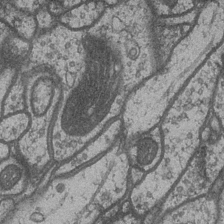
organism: Drosophila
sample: Optic medulla